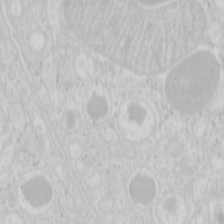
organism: Mouse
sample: Pancreas